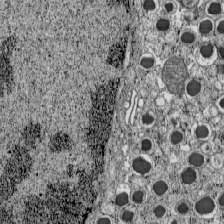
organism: C57BL Mouse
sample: Pancreatic islet